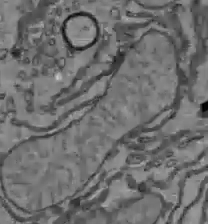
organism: C57BL Mouse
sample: Liver